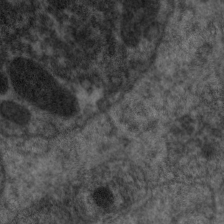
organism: C. elegans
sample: Pharynx